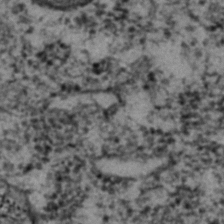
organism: C. elegans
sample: C. elegans embryo